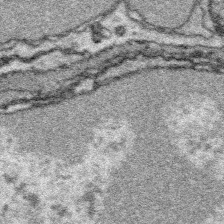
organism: Platynereis dumerilii